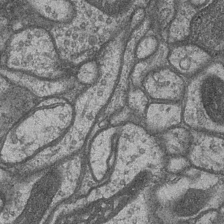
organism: Drosophila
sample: Optic medulla